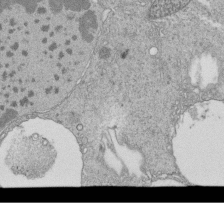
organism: Tetrahymena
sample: Cilia in tetrahymena